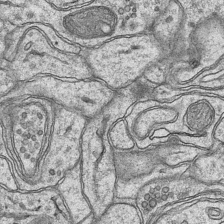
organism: Mouse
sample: CA1 Hippocampus